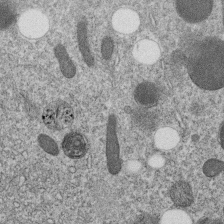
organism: C. elegans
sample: C. elegans embryo early stage